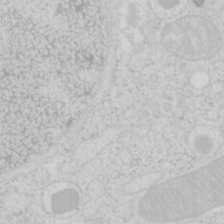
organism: Mouse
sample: Pancreas